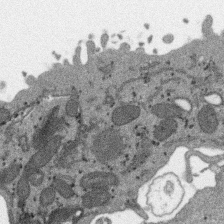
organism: Human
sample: Lung epithelial cells infected with SARS-CoV-2